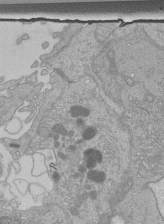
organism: Human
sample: Retinal organoid Rod and Cone cells